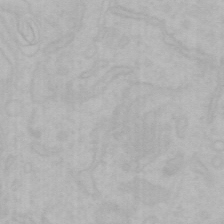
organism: Mouse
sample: Choroid plexus